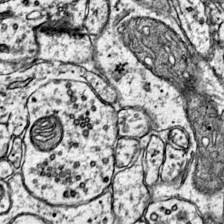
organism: Mouse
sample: Primary visual cortex